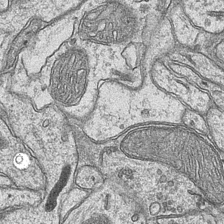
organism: Mouse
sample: CA1 Hippocampus